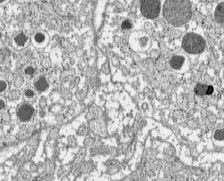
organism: C57BL Mouse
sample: Pancreatic islet